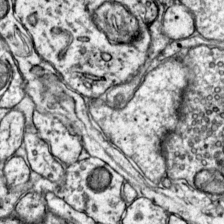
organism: Mouse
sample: Primary visual cortex